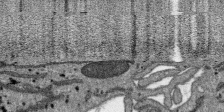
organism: Human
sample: Lung epithelial cells, uninfected (mock) control